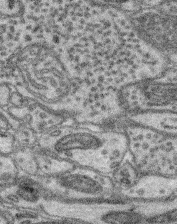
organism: Mouse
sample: Retina